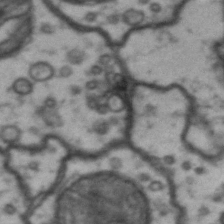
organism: Drosophila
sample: Brain